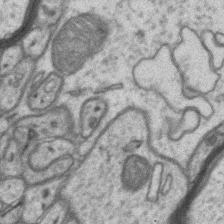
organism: Mouse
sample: CA1 Hippocampus